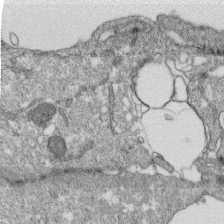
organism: African green monkey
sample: Vero E6 cells infected with SARS-CoV-2